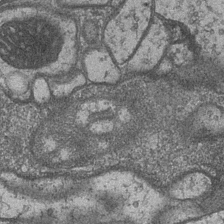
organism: Drosophila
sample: Optic medulla